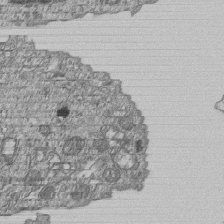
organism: Human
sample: MDA-MB-231 cells